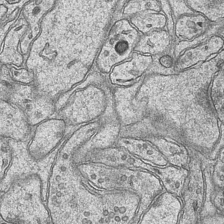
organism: Mouse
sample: CA1 Hippocampus